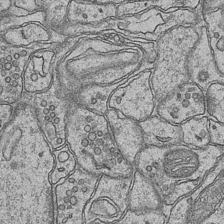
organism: Mouse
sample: CA1 Hippocampus